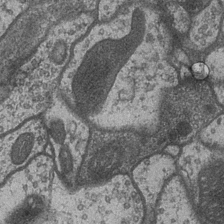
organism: Drosophila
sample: Optic medulla